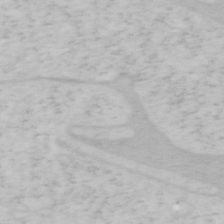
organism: Mouse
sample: OT-I killer T cells with ID8 ovarian cancer cells